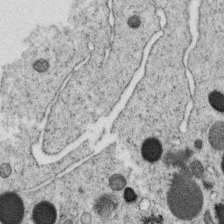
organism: C. elegans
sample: C. elegans oocyte; sperm cells